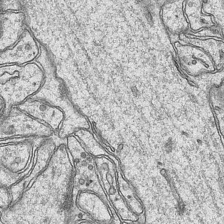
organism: Mouse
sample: CA1 Hippocampus